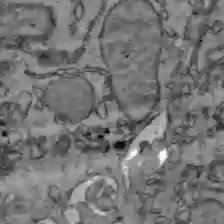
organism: C57BL Mouse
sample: Liver